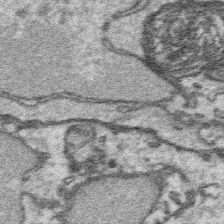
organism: Platynereis dumerilii